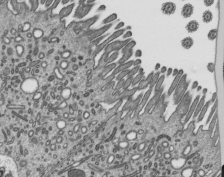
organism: Mouse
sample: Mouse epididymis efferent ductule cilia